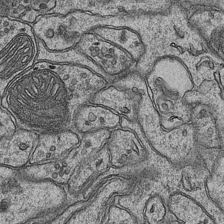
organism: Mouse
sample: CA1 Hippocampus